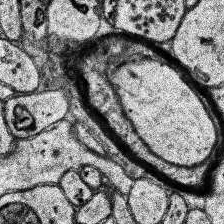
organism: Human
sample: Temporal Lobe